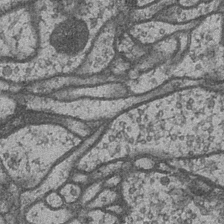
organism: Drosophila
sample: Optic medulla